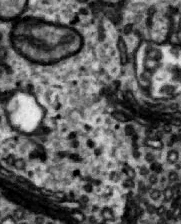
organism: Human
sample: HeLa cells